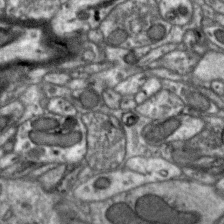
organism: Zebra finch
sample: Brain